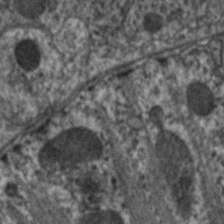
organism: C. elegans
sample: Pharynx